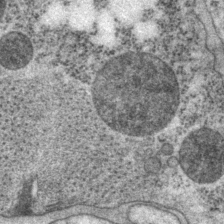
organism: P. pacificus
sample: Pharynx